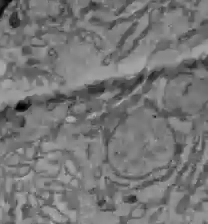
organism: C57BL Mouse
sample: Liver